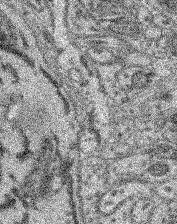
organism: Mouse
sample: Retina